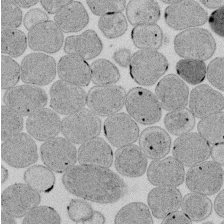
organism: E. coli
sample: Bacterial nucleoid